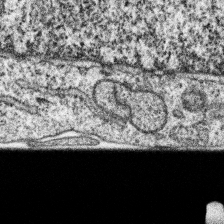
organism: Human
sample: HeLa cells